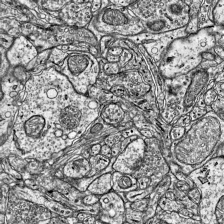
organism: Mouse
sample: Visual Cortex